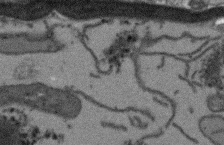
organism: Arabidopsis thaliana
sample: Root tip